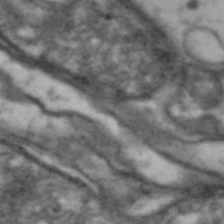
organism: Drosophila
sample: Brain